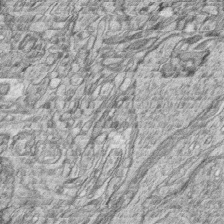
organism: Zebrafish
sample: synaptic ribbons in rod cells and cone cells